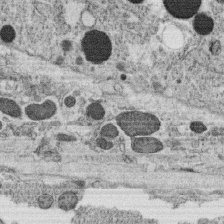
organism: C. elegans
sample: C. elegans oocyte; sperm cells